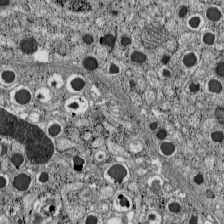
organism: C57BL Mouse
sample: Pancreatic islet